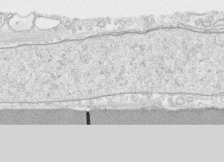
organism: Human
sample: CRL-1474